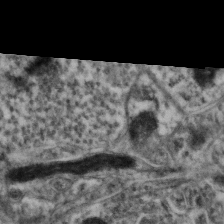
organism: Mouse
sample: Neocortex